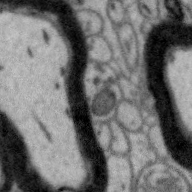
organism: Zebra finch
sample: Brain